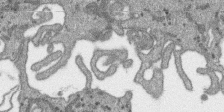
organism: Human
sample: Lung epithelial cells infected with SARS-CoV-2